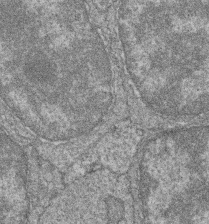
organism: Zebrafish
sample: Cilia; retinal pigment epithelium